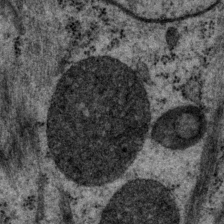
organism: P. pacificus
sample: Pharynx